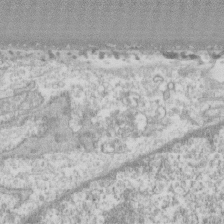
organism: Human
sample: CRL-1474